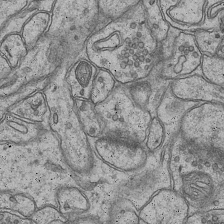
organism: Mouse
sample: CA1 Hippocampus